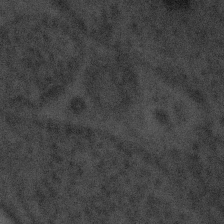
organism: Tuwongella immobilis